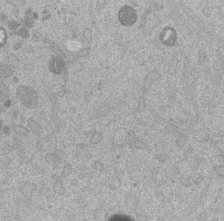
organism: Mouse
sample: Dividing mouse embryo 1 cell stage